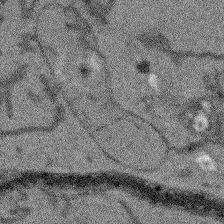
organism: Arabidopsis thaliana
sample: Root tip